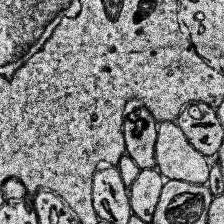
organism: Human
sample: Temporal Lobe